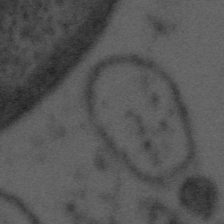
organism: Tuwongella immobilis